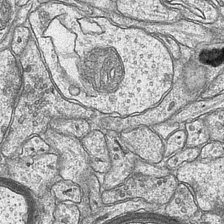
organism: Mouse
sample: CA1 Hippocampus